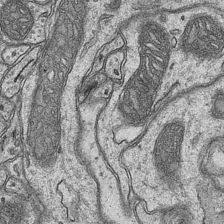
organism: Mouse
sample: CA1 Hippocampus